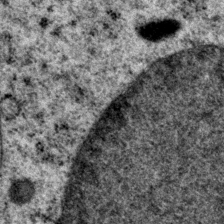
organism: P. pacificus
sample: Pharynx